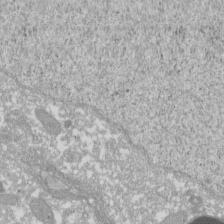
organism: Xenopus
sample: Cilia; centrioles in frog embryo cells